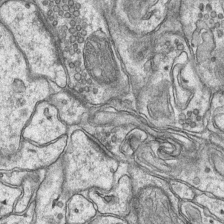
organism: Mouse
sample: CA1 Hippocampus